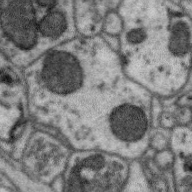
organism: Zebra finch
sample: Brain